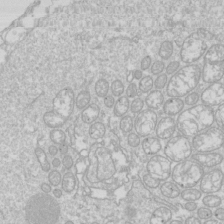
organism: Drosophila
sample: Cell division; meiosis; drosophila spermatocytes